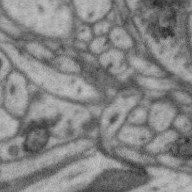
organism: Zebra finch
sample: Brain